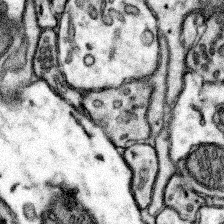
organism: Mouse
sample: Somatosensory cortex neuropil